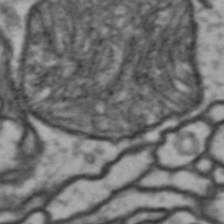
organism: Drosophila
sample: Brain